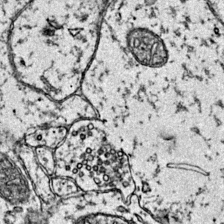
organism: Mouse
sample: Primary visual cortex